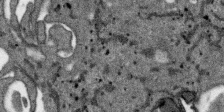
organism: Human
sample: Lung epithelial cells, uninfected (mock) control